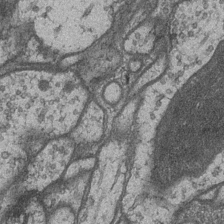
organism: Drosophila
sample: Optic medulla